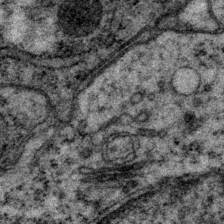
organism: P. pacificus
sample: Pharynx